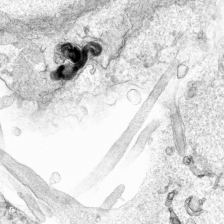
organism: Human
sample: Mitochondria in HCT116 cells